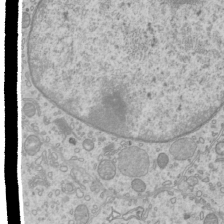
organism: Mouse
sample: Cilia; mouse epididymis